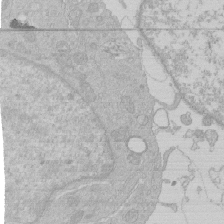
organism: Human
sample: Macrophage cells